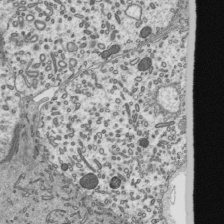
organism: Mouse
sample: Mouse epididymis efferent ductule cilia